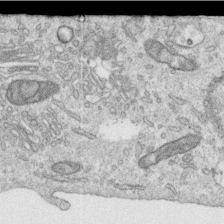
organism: Human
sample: Centriole in RPE cells